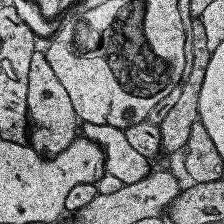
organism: Human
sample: Temporal Lobe